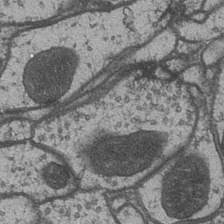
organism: Drosophila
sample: Optic medulla